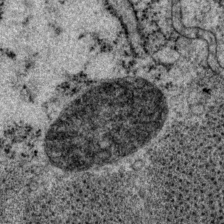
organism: P. pacificus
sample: Pharynx